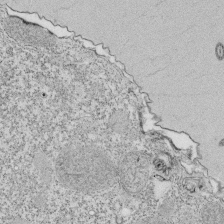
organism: Tetrahymena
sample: Cilia in tetrahymena